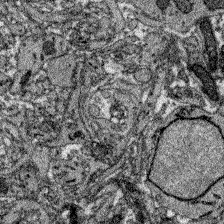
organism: Zebrafish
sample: Larval olfactory bulb